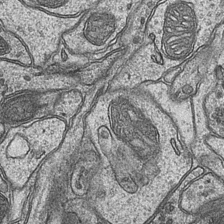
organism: Mouse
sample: CA1 Hippocampus